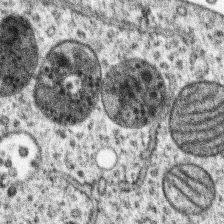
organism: Human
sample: HeLa cells